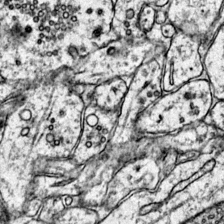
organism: Mouse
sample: Primary visual cortex